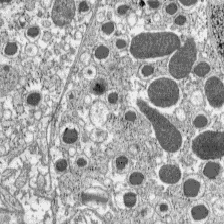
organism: C57BL Mouse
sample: Pancreatic islet